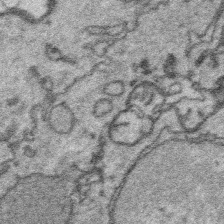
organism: Platynereis dumerilii